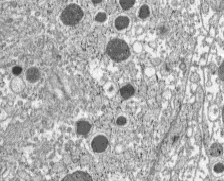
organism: C57BL Mouse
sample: Pancreatic islet